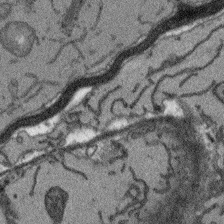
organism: Arabidopsis thaliana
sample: Root tip